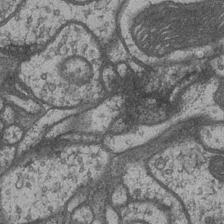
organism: Drosophila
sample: Optic medulla